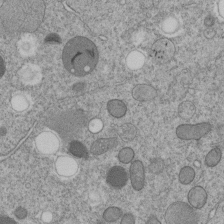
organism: C. elegans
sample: C. elegans embryo early stage